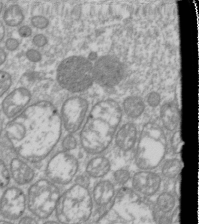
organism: Drosophila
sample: Cell division; meiosis; drosophila spermatocytes